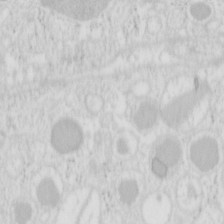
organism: Mouse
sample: Pancreas